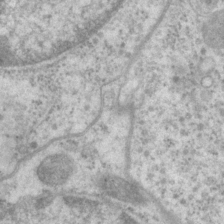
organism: P. pacificus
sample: Pharynx